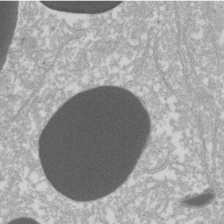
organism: Xenopus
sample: Cilia; centrioles in frog embryo cells